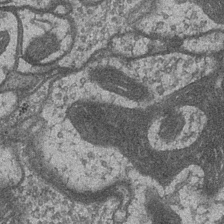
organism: Drosophila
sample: Optic medulla